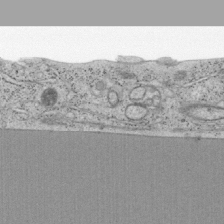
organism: Human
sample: HeLa cells